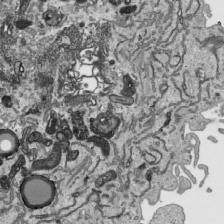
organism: Human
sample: Mitochondria in HCT116 cells